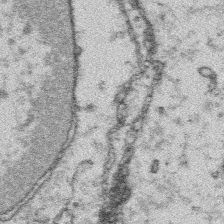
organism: Platynereis dumerilii